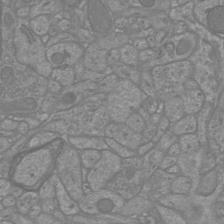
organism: Mouse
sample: Cortical neurons